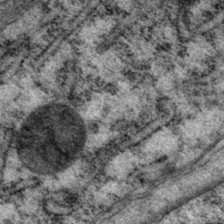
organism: P. pacificus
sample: Pharynx